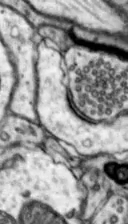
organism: Mouse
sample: Nucleus accumbens